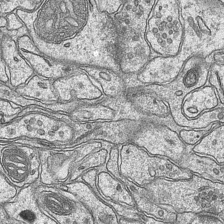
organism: Mouse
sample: CA1 Hippocampus